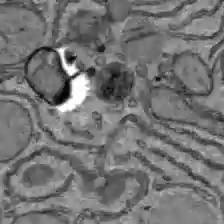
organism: C57BL Mouse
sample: Liver